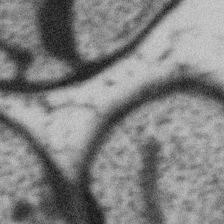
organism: Gemmata obscuriglobus